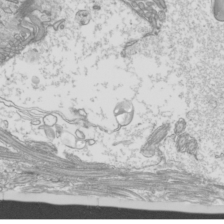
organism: Mouse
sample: Cilia; mouse epididymis